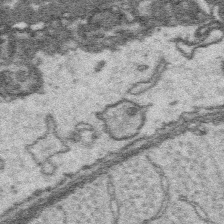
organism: Platynereis dumerilii